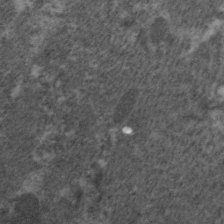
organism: C. elegans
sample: Pharynx